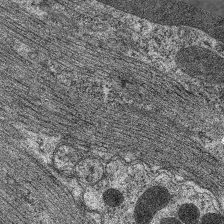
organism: C. elegans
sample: Pharynx